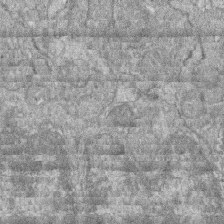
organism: Zebrafish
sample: Cilia; retinal pigment epithelium